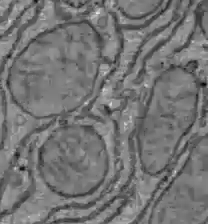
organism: C57BL Mouse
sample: Liver